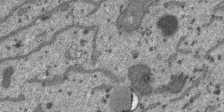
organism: Human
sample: Lung epithelial cells infected with SARS-CoV-2